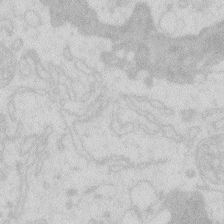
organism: Zebrafish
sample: Macrophage